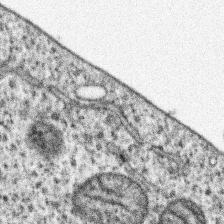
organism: Human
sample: HeLa cells